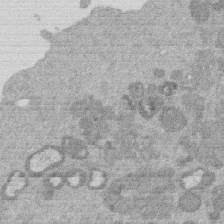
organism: Mouse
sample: Dividing mouse embryo 1 cell stage